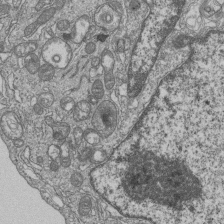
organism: Human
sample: MDA-MB-231 cells